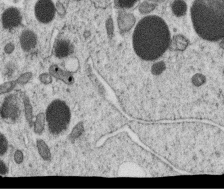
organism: C. elegans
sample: C. elegans oocyte; sperm cells